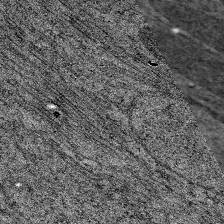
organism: C. elegans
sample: Pharynx